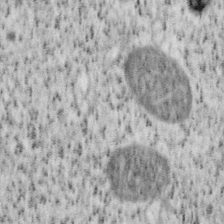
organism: Mouse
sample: OT-I killer T cells with ID8 ovarian cancer cells